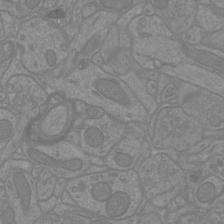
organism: Mouse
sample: Cortical neurons